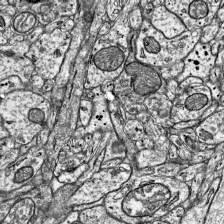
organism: Mouse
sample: Visual Cortex